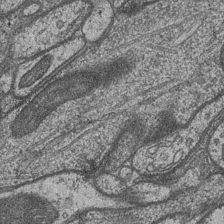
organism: Drosophila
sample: Optic medulla